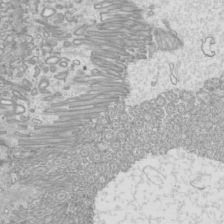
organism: Mouse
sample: Cilia; mouse epididymis